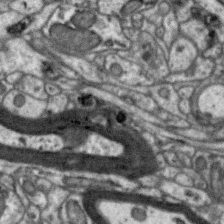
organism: Zebra finch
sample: Brain